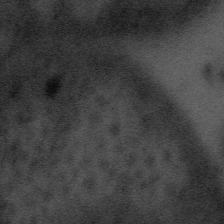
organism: Tuwongella immobilis